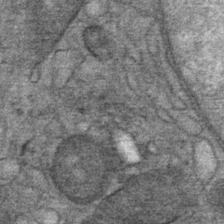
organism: Mouse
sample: Mouse Salivary gland